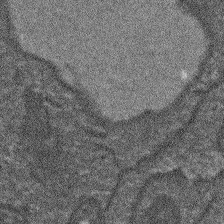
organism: Arabidopsis thaliana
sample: Root tip